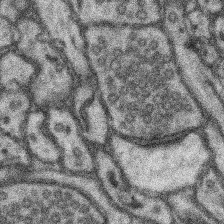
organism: Mouse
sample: Somatosensory cortex neuropil